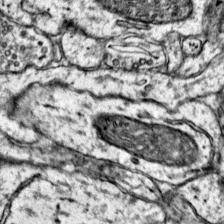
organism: Mouse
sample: Primary visual cortex